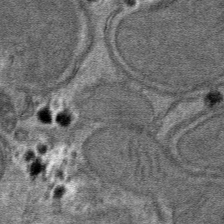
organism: Mouse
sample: Mouse hepatocytes